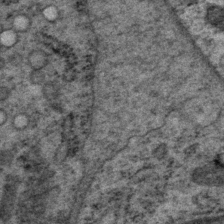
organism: P. pacificus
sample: Pharynx